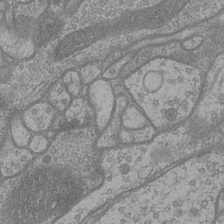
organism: Drosophila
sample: Optic medulla